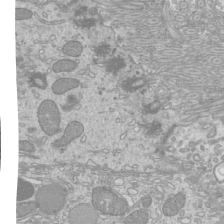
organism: Mouse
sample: Cilia; mouse epididymis